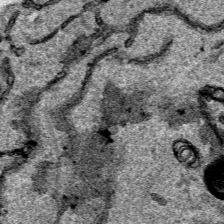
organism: Human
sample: Mitochondria in HCT116 cells